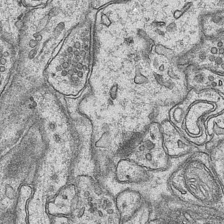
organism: Mouse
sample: CA1 Hippocampus